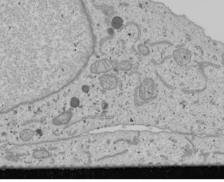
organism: Human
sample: Mitochondria in U2OS cells